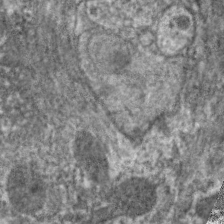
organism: C. elegans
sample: Pharynx